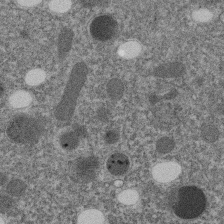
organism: C. elegans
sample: C. elegans embryo early stage